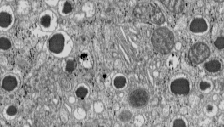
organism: C57BL Mouse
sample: Pancreatic islet